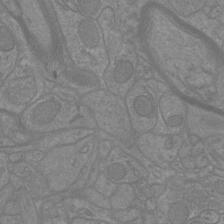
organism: Mouse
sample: Cortical neurons